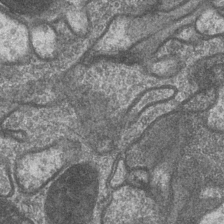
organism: Drosophila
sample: Optic medulla